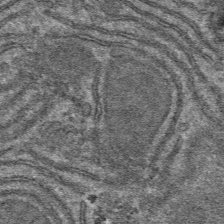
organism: Mouse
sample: Mouse hepatocytes